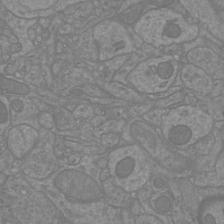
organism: Mouse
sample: Cortical neurons